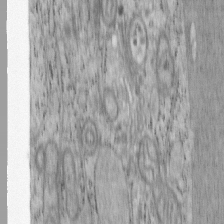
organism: Human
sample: HeLa cells